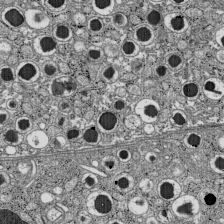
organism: C57BL Mouse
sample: Pancreatic islet